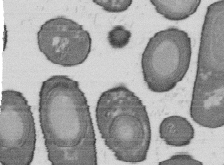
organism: B. subtilis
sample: Bacterial spore